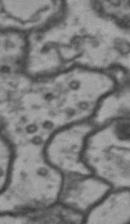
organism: Drosophila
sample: Brain